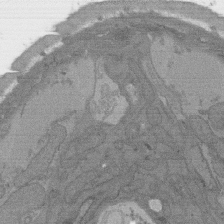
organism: C. elegans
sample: AFD neurons C. elegans